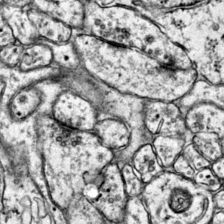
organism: Mouse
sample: Primary visual cortex